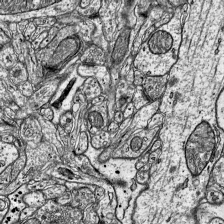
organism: Mouse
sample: Visual Cortex